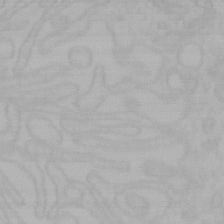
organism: Mouse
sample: Choroid plexus